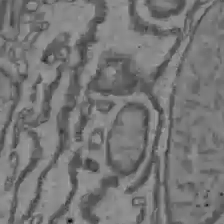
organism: C57BL Mouse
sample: Liver